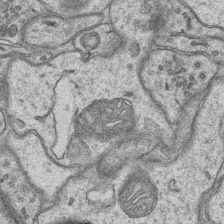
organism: Mouse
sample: CA1 Hippocampus